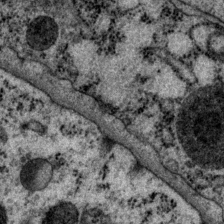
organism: P. pacificus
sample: Pharynx